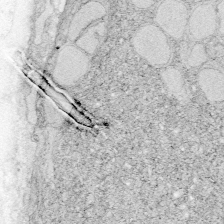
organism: Zebrafish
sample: Whole-Brain